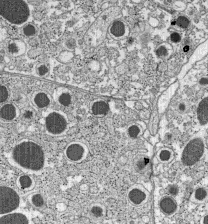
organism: C57BL Mouse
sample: Pancreatic islet